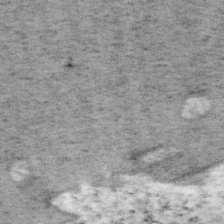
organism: Mouse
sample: OT-I killer T cells with ID8 ovarian cancer cells